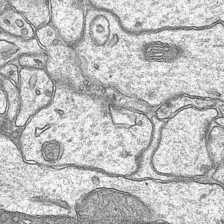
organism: Mouse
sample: CA1 Hippocampus